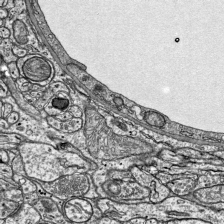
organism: Mouse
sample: Visual Cortex